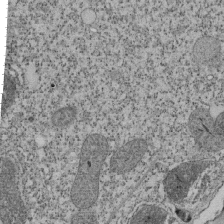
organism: Tetrahymena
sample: Cilia in tetrahymena